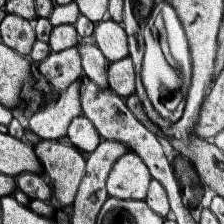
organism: Human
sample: Temporal Lobe